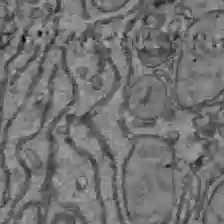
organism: C57BL Mouse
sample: Liver